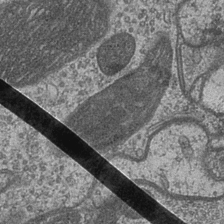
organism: Drosophila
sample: Optic medulla